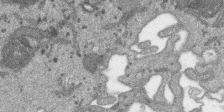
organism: Human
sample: Lung epithelial cells infected with SARS-CoV-2